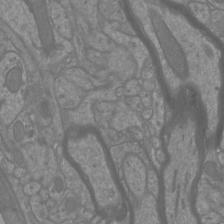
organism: Mouse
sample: Cortical neurons